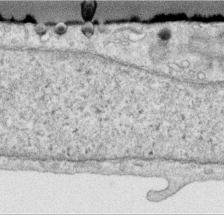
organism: Human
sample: Centriole in RPE cells